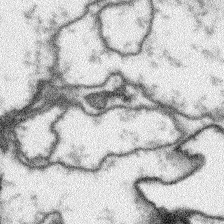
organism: Arabidopsis thaliana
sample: Root tip